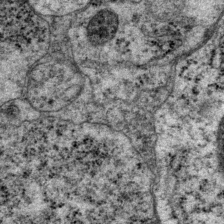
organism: P. pacificus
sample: Pharynx